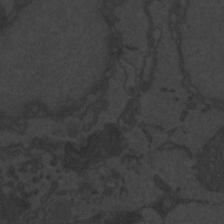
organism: Zebrafish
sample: Macrophage infected with Toxoplasma gondii